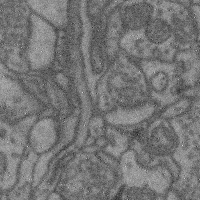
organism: Mouse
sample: Cerebral cortex